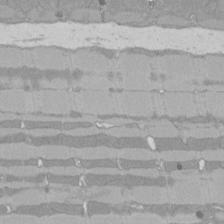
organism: Rat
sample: Left ventricle